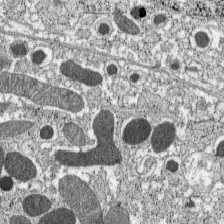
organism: C57BL Mouse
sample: Pancreatic islet